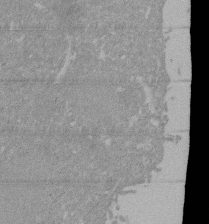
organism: Mouse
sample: ED-1 cell nuclei; centrioles